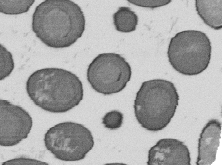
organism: B. subtilis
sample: Bacterial spore